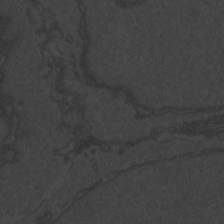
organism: Zebrafish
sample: Macrophage infected with Toxoplasma gondii